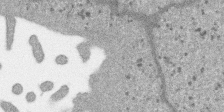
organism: Human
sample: Lung epithelial cells infected with SARS-CoV-2